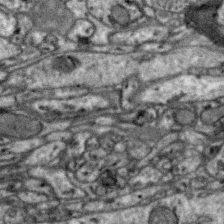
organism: Zebra finch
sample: Brain